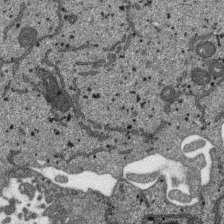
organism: Human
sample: Lung epithelial cells infected with SARS-CoV-2